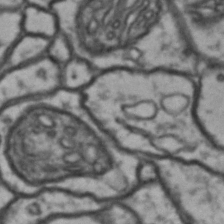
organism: Drosophila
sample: Brain